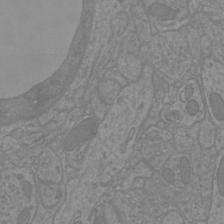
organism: Mouse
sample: Cortical neurons